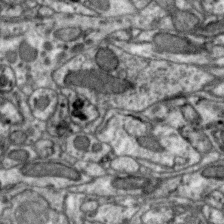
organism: Zebra finch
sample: Brain